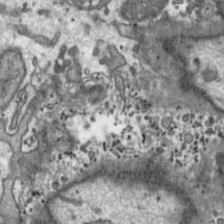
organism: Toxoplasma gondii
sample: Parasites in a vacuole inside a host cell